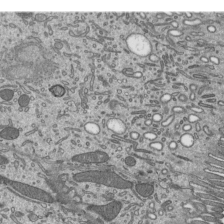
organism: Mouse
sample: Mouse epididymis efferent ductule cilia